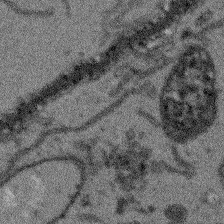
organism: Arabidopsis thaliana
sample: Root tip